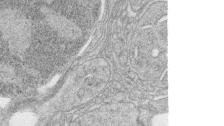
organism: Zebrafish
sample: synaptic ribbons in rod cells and cone cells